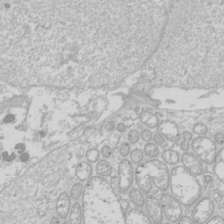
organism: Drosophila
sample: Cell division; meiosis; drosophila spermatocytes